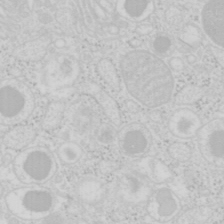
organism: Mouse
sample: Pancreas